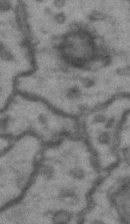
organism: Drosophila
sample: Brain